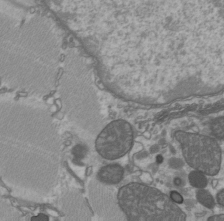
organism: C57BL Mouse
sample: Heart